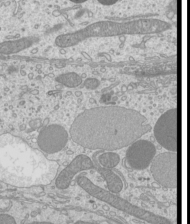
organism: Mouse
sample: Cilia; mouse epididymis